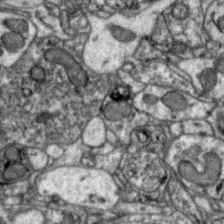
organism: Zebra finch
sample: Brain